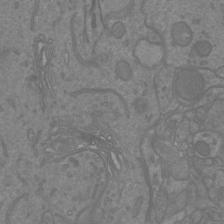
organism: Mouse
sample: Cortical neurons